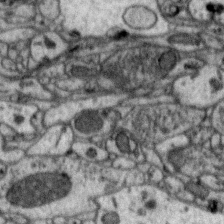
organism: Zebra finch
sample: Brain